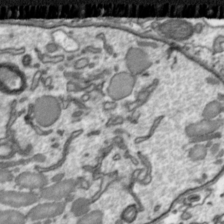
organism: Toxoplasma gondii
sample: Parasites in a vacuole inside a host cell